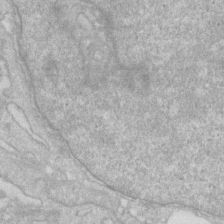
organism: Human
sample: Fibroblast cells